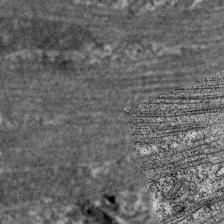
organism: C. elegans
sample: Pharynx